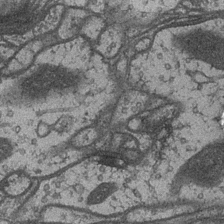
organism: Drosophila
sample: Optic medulla